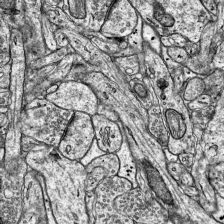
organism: Mouse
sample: Visual Cortex